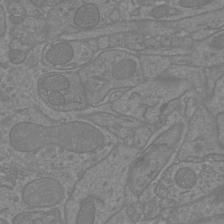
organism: Mouse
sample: Cortical neurons